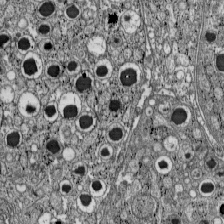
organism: C57BL Mouse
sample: Pancreatic islet